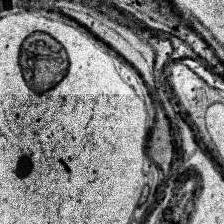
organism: Human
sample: Temporal Lobe